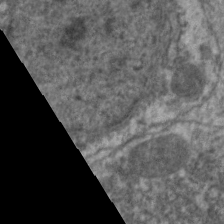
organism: C. elegans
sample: Pharynx